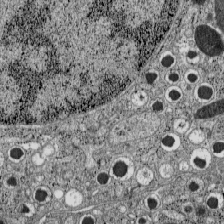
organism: C57BL Mouse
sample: Pancreatic islet